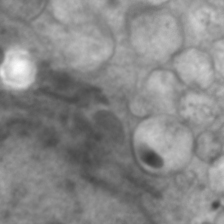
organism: C. elegans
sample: Pharynx